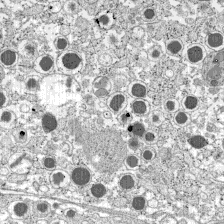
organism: C57BL Mouse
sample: Pancreatic islet